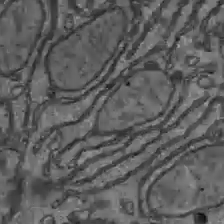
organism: C57BL Mouse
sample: Liver